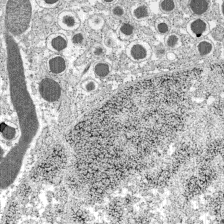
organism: C57BL Mouse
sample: Pancreatic islet